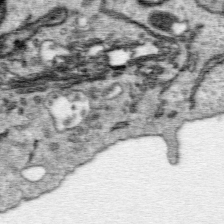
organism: Human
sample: HeLa cells